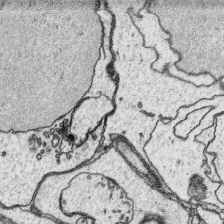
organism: Platynereis dumerilii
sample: Parapodia